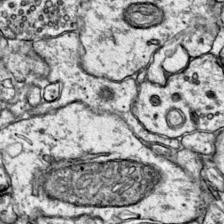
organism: Mouse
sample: Primary visual cortex